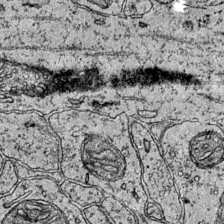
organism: Mouse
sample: Primary visual cortex